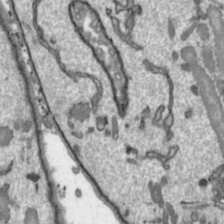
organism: Toxoplasma gondii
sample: Parasites in a vacuole inside a host cell